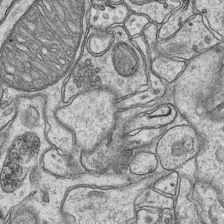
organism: Mouse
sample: CA1 Hippocampus